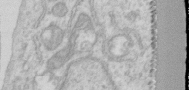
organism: Human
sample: Centriole in RPE cells